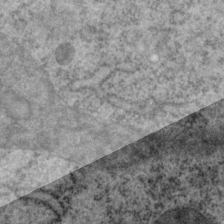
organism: P. pacificus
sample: Pharynx